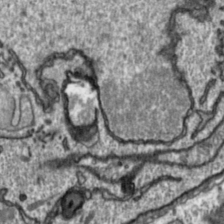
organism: Toxoplasma gondii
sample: Parasites in a vacuole inside a host cell